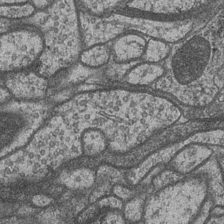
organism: Drosophila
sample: Optic medulla